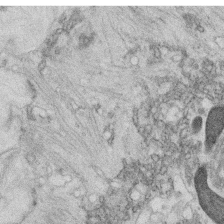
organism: C. elegans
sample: C. elegans oocyte; sperm cells